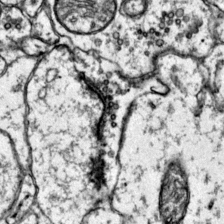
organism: Mouse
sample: Primary visual cortex